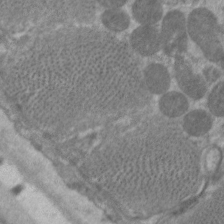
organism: C. elegans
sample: Pharynx